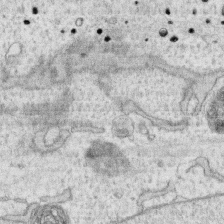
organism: Human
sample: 1205lu cells